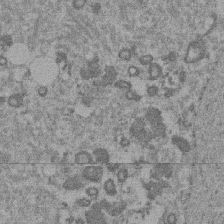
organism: Mouse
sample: Dividing mouse embryo 1 cell stage